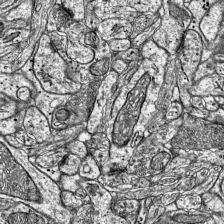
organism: Mouse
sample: Visual Cortex